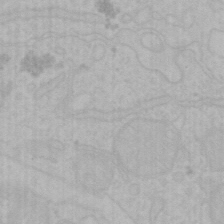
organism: Mouse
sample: Choroid plexus